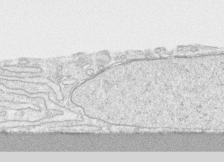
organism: Human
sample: CRL-1474